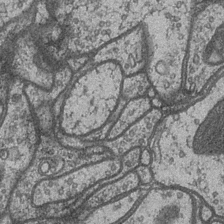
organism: Drosophila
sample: Optic medulla